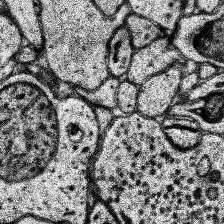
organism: Human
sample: Temporal Lobe